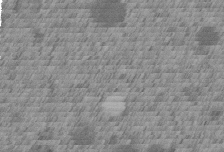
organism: C. elegans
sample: C. elegans embryo early stage